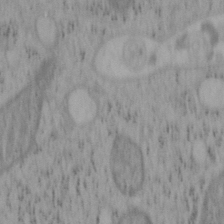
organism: Mouse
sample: OT-I killer T cells with ID8 ovarian cancer cells